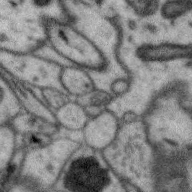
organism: Zebra finch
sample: Brain